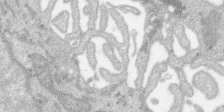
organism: Human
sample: Lung epithelial cells infected with SARS-CoV-2